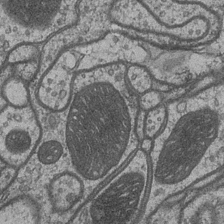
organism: Drosophila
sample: Optic medulla